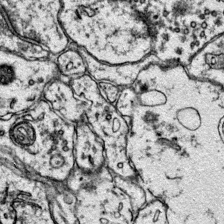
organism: Mouse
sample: Primary visual cortex